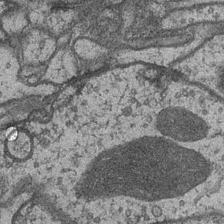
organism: Drosophila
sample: Optic medulla